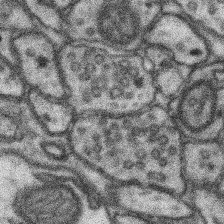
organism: Mouse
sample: Somatosensory cortex neuropil